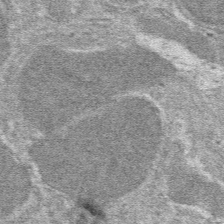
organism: Mouse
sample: Mouse hepatocytes